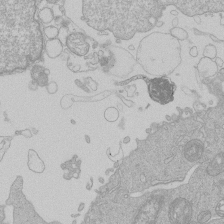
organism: Human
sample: Macrophage cells